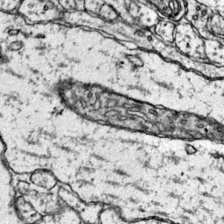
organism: Mouse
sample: Primary visual cortex